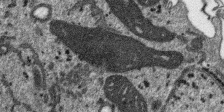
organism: Human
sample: Lung epithelial cells infected with SARS-CoV-2